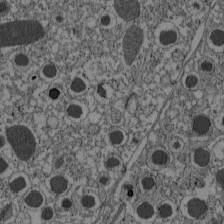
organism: C57BL Mouse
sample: Pancreatic islet